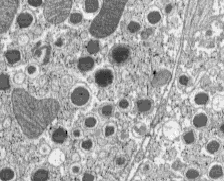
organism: C57BL Mouse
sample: Pancreatic islet